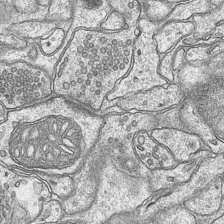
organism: Mouse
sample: CA1 Hippocampus